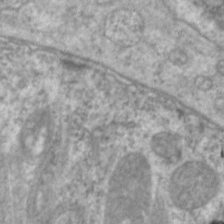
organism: C. elegans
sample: Pharynx